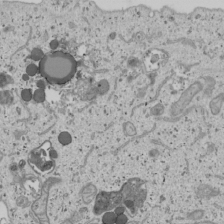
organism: Human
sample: Mitochondria in U2OS cells